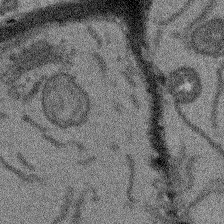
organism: Arabidopsis thaliana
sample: Root tip